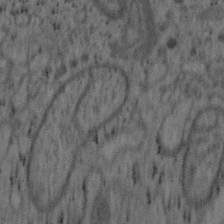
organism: Human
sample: HeLa cells